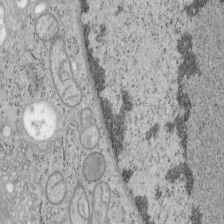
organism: Mouse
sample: OT-I killer T cells with ID8 ovarian cancer cells